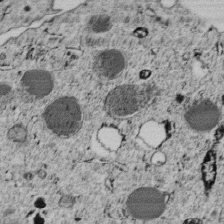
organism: C. elegans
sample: C. elegans embryo early stage